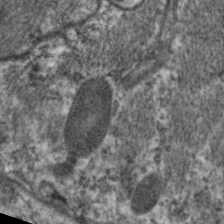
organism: C. elegans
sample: Pharynx